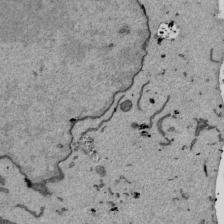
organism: Mouse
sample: ED-1 cell nuclei; centrioles